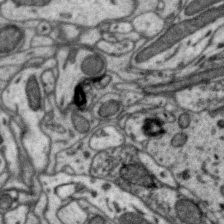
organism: Zebra finch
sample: Brain